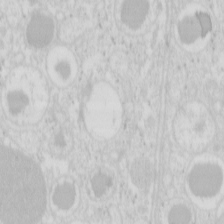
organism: Mouse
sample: Pancreas